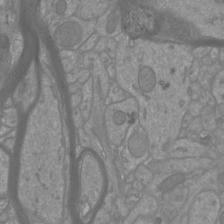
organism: Mouse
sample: Cortical neurons